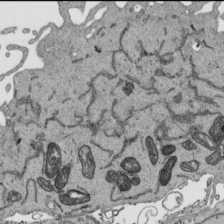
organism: Human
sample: Mitochondria in HCT116 cells